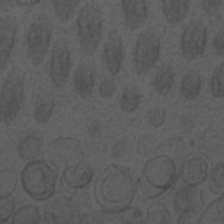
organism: C. elegans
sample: C. elegans embryo